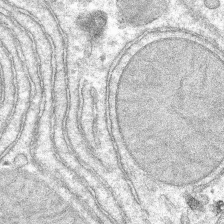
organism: Mouse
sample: Mouse hepatocytes